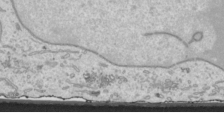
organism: Human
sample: Mitochondria in HCT116 cells